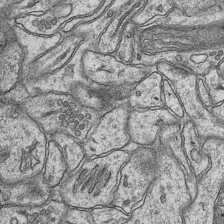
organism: Mouse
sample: CA1 Hippocampus